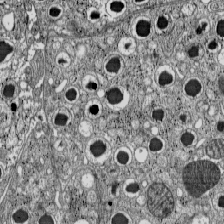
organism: C57BL Mouse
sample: Pancreatic islet